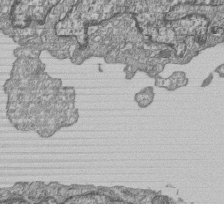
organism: Human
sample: MDA-MB-231 cells